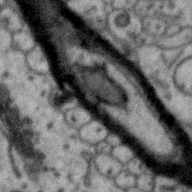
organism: Zebra finch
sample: Brain